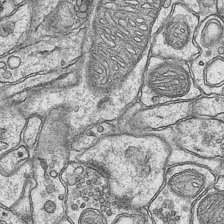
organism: Mouse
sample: CA1 Hippocampus